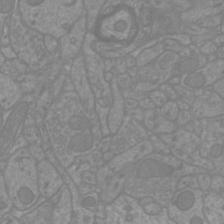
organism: Mouse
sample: Cortical neurons